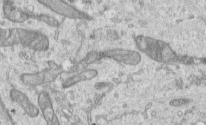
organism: Human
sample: Centriole in RPE cells